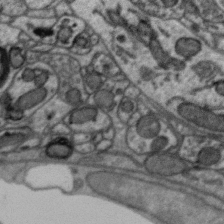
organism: Zebra finch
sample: Brain